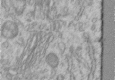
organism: Human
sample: Centriole in RPE cells